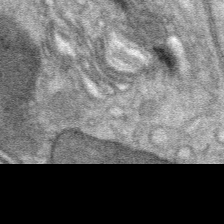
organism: Mouse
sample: Mouse Salivary gland